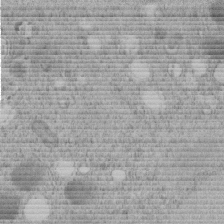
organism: C. elegans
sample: C. elegans embryo early stage